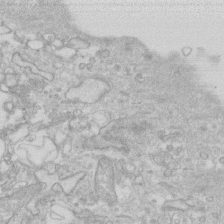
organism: Human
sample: Fibroblast cells